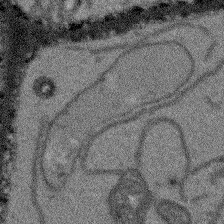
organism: Arabidopsis thaliana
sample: Root tip